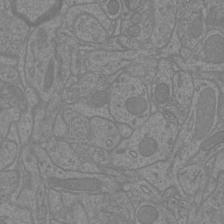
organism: Mouse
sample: Cortical neurons